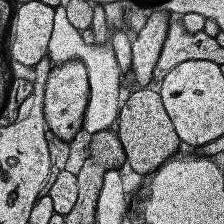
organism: Human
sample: Temporal Lobe